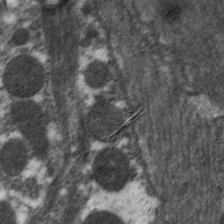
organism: C. elegans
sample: Pharynx